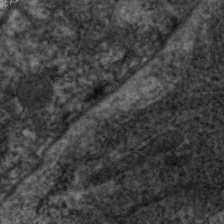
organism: C. elegans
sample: Pharynx